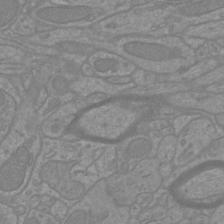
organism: Mouse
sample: Cortical neurons